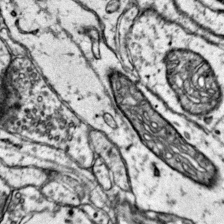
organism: Mouse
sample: Primary visual cortex